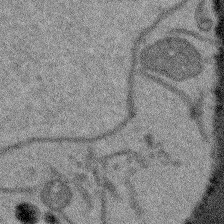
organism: Arabidopsis thaliana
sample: Root tip